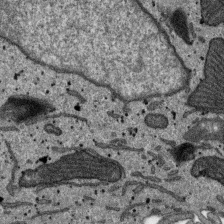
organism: Human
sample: Lung epithelial cells, uninfected (mock) control